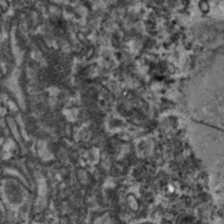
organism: Zebrafish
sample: Zebrafish embryo